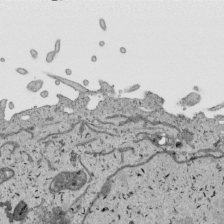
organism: Human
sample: Mitochondria in HCT116 cells